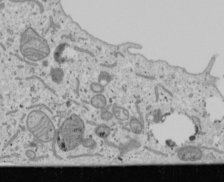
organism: Human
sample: Mitochondria in U2OS cells